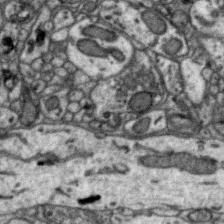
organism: Zebra finch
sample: Brain